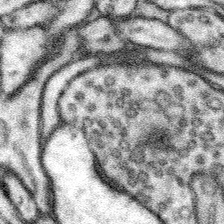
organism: Mouse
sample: Somatosensory cortex neuropil